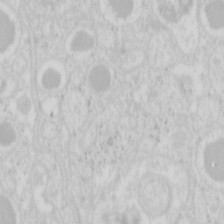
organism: Mouse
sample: Pancreas